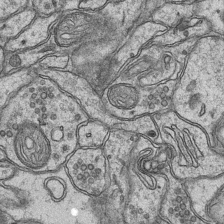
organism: Mouse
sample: CA1 Hippocampus